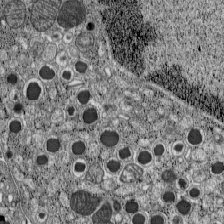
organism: C57BL Mouse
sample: Pancreatic islet